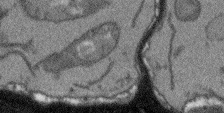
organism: Arabidopsis thaliana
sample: Root tip